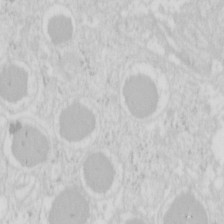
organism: Mouse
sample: Pancreas